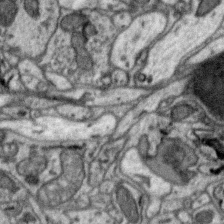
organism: Zebra finch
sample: Brain